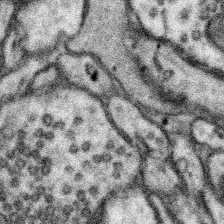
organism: Mouse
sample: Somatosensory cortex neuropil